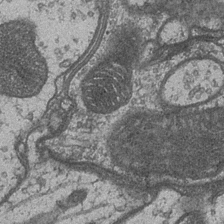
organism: Drosophila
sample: Optic medulla